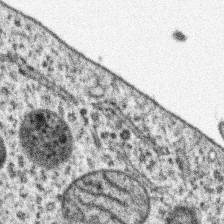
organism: Human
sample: HeLa cells